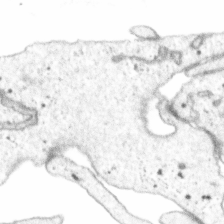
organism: Human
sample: HeLa cells